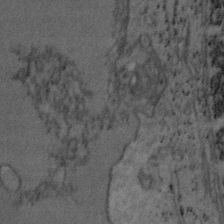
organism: Human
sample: HeLa cells